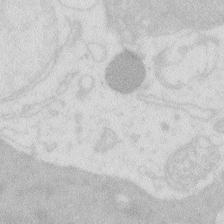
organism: Zebrafish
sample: Macrophage